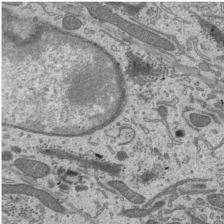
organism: Mouse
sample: Mouse epididymis efferent ductule cilia